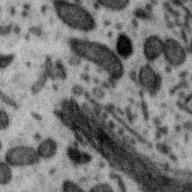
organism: Zebra finch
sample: Brain